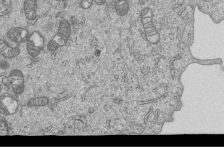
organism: Human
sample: MDA-MB-231 cells